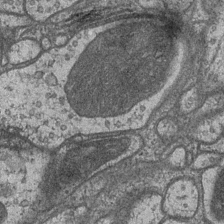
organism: Drosophila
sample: Optic medulla